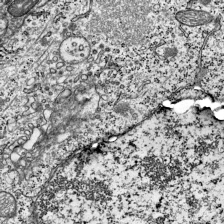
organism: Mouse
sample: Visual Cortex